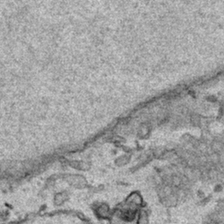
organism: Human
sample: Mitochondria in HCT116 cells